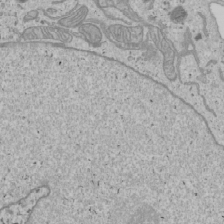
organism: Human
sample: Mitochondria in U2OS cells